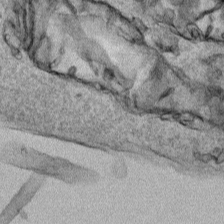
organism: Human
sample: Mitochondria in HCT116 cells